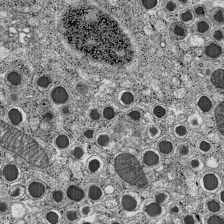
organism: C57BL Mouse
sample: Pancreatic islet